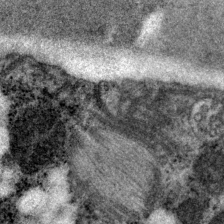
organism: P. pacificus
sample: Pharynx